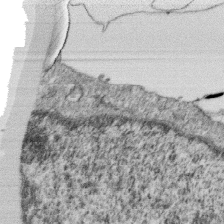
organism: African green monkey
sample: Vero E6 cells infected with SARS-CoV-2